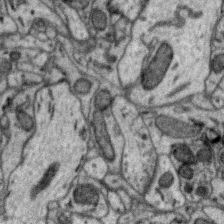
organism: Zebra finch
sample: Brain